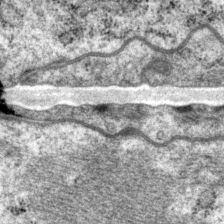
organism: P. pacificus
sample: Pharynx